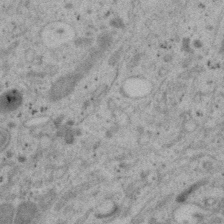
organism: Human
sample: HeLa cells